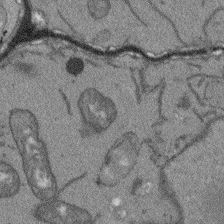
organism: Arabidopsis thaliana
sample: Root tip